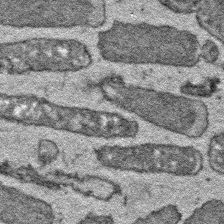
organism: E. coli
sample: E. Coli Bacteria